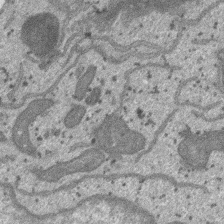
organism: Human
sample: Lung epithelial cells infected with SARS-CoV-2